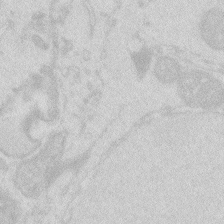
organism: Zebrafish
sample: Macrophage